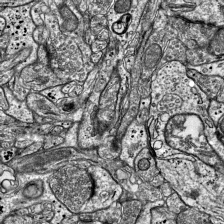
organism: Mouse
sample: Visual Cortex